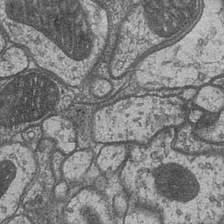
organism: Drosophila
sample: Optic medulla